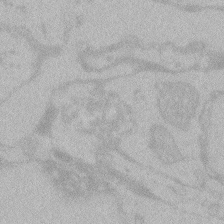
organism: Zebrafish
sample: Macrophage infected with Toxoplasma gondii